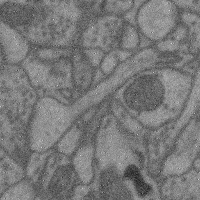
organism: Mouse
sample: Cerebral cortex